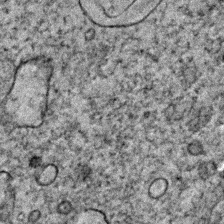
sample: Trachea